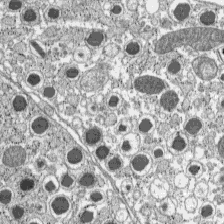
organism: C57BL Mouse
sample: Pancreatic islet